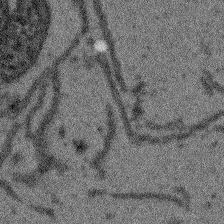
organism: Arabidopsis thaliana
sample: Root tip